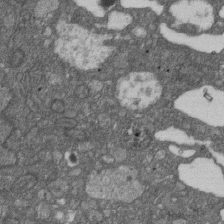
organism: Drosophila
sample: Nephrocyte